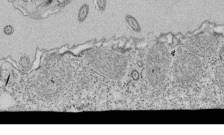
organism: Tetrahymena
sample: Cilia in tetrahymena